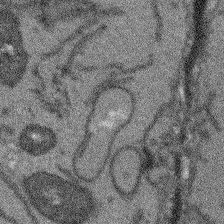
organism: Arabidopsis thaliana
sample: Root tip